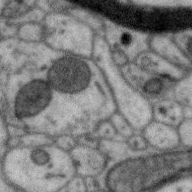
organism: Zebra finch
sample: Brain